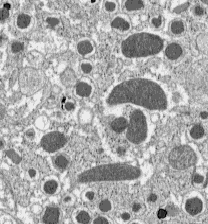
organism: C57BL Mouse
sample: Pancreatic islet